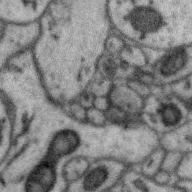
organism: Zebra finch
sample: Brain